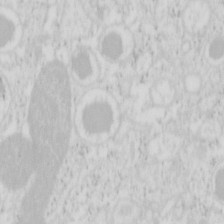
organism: Mouse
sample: Pancreas